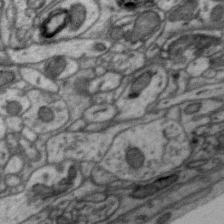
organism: Zebra finch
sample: Brain